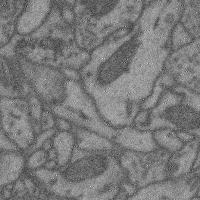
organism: Mouse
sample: Cerebral cortex